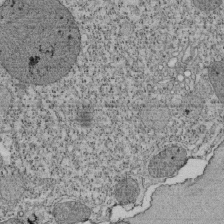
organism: Tetrahymena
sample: Cilia in tetrahymena